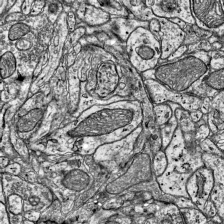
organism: Mouse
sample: Visual Cortex